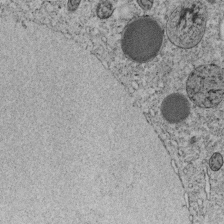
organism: C. elegans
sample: C. elegans embryo early stage